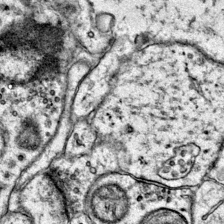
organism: Mouse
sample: Primary visual cortex